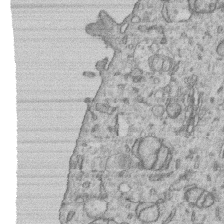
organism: Human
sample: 1205lu cells